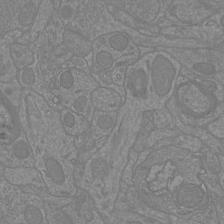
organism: Mouse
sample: Cortical neurons